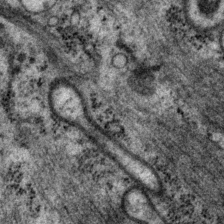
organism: P. pacificus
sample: Pharynx